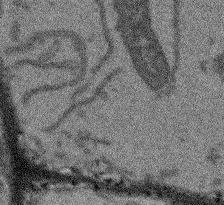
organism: Arabidopsis thaliana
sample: Root tip